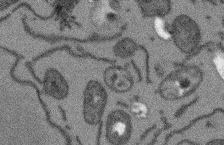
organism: Arabidopsis thaliana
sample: Root tip